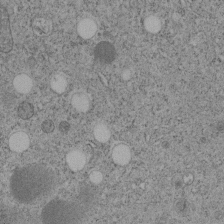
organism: C. elegans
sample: C. elegans embryo early stage